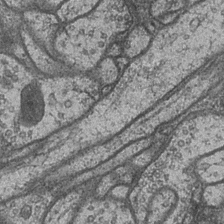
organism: Drosophila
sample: Optic medulla